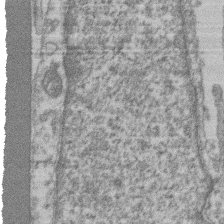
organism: Mouse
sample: T cell stromal cell synapse